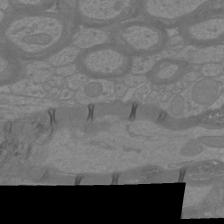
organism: Mouse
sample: Cortical neurons